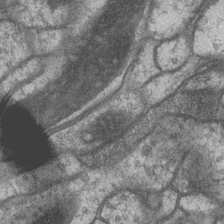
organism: Drosophila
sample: Optic medulla